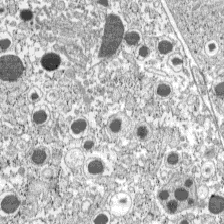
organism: C57BL Mouse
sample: Pancreatic islet